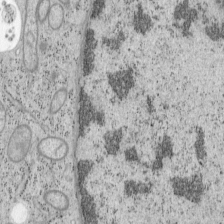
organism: Mouse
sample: OT-I killer T cells with ID8 ovarian cancer cells